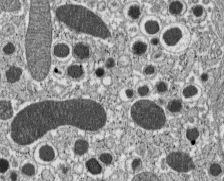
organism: C57BL Mouse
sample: Pancreatic islet